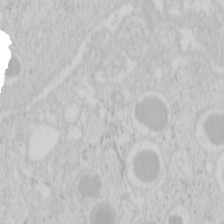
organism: Mouse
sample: Pancreas